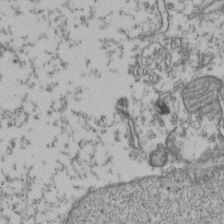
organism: Human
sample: Activated Jurkat CD4+ T cells